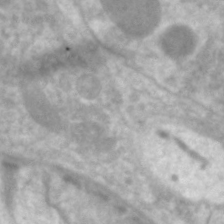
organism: C. elegans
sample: Pharynx